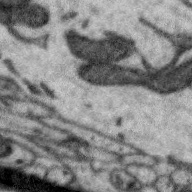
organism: Zebra finch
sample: Brain